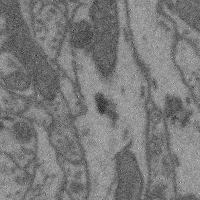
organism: Mouse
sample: Cerebral cortex